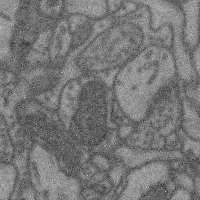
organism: Mouse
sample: Cerebral cortex